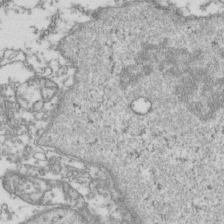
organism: Human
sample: Activated Jurkat CD4+ T cells